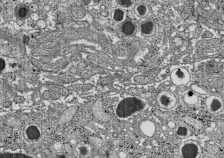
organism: C57BL Mouse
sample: Pancreatic islet